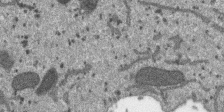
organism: Human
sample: Lung epithelial cells infected with SARS-CoV-2